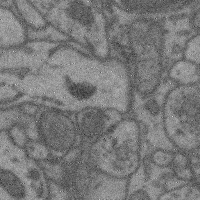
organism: Mouse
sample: Cerebral cortex